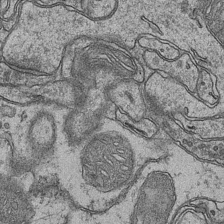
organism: Mouse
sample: CA1 Hippocampus